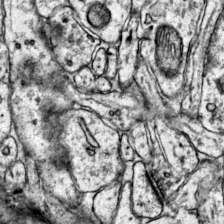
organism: Mouse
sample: Primary visual cortex